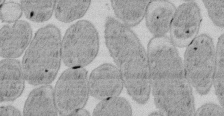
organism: E. coli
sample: Bacterial nucleoid